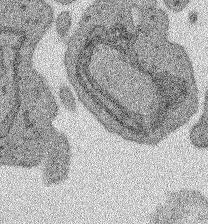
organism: Human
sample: HeLa cells